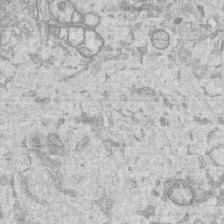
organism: Human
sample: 1205lu cells